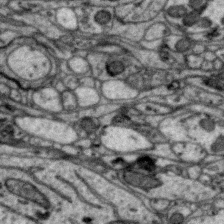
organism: Zebra finch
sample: Brain